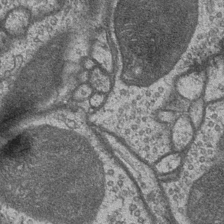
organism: Drosophila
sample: Optic medulla